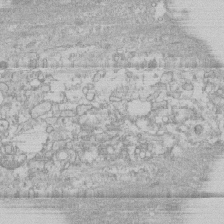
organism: Human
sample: CRL-1474